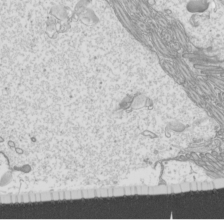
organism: Mouse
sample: Cilia; mouse epididymis